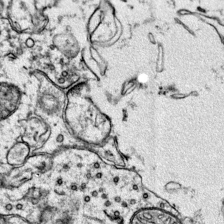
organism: Mouse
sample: Primary visual cortex